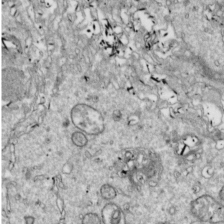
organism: Drosophila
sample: Cell division; meiosis; drosophila spermatocytes